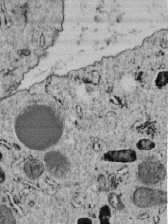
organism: C. elegans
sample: C. elegans embryo early stage